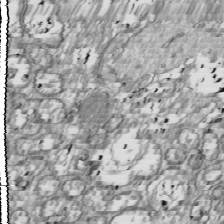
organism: Drosophila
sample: Cell division; meiosis; drosophila spermatocytes